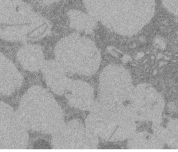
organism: Rat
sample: Salivary granule